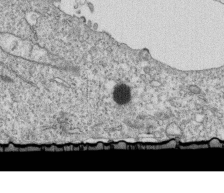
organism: Human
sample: HeLa cell HIV synapse